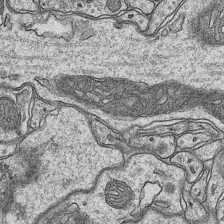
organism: Mouse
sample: CA1 Hippocampus